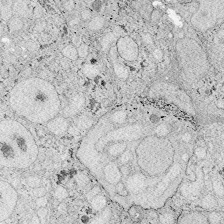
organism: Zebrafish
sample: Whole-Brain